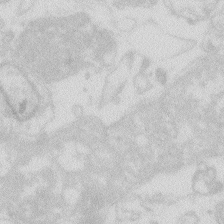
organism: Zebrafish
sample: Macrophage